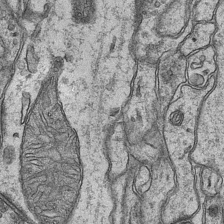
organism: Mouse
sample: CA1 Hippocampus